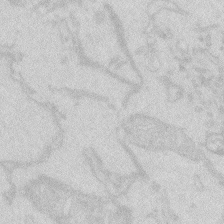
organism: Zebrafish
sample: Macrophage